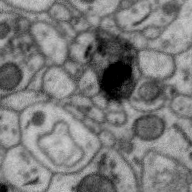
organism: Zebra finch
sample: Brain